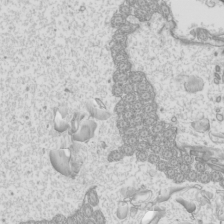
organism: Mouse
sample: Cilia; mouse epididymis